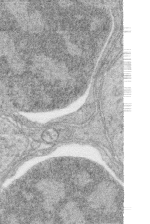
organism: Zebrafish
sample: synaptic ribbons in rod cells and cone cells